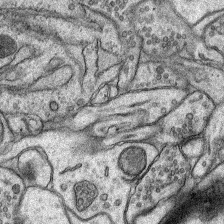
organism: Rat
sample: Hippocampus